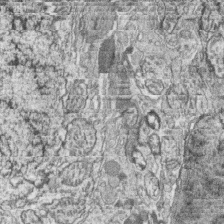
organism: Zebrafish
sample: synaptic ribbons in rod cells and cone cells